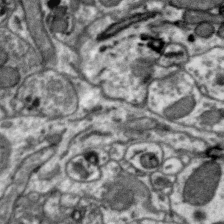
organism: Zebra finch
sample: Brain